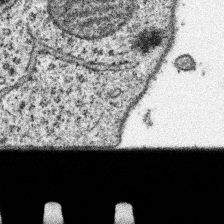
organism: Human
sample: HeLa cells